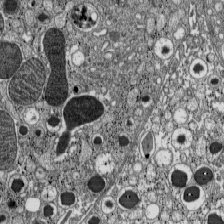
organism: C57BL Mouse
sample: Pancreatic islet